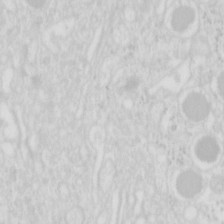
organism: Mouse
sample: Pancreas